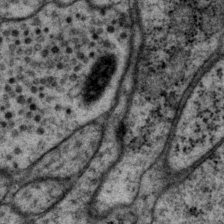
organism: P. pacificus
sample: Pharynx